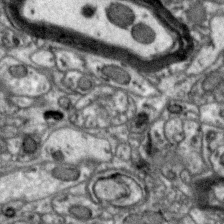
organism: Zebra finch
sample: Brain